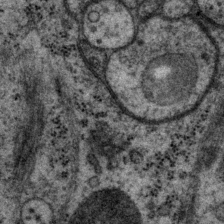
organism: P. pacificus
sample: Pharynx